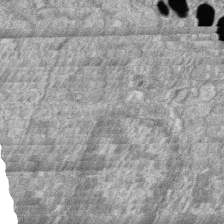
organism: Zebrafish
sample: Cilia; retinal pigment epithelium